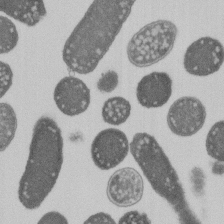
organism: E. coli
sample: Bacterial nucleoid